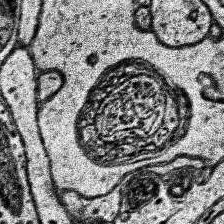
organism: Human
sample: Temporal Lobe